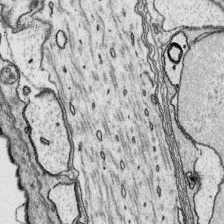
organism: Platynereis dumerilii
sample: Parapodia